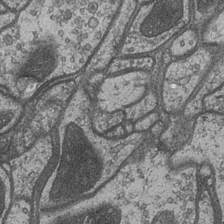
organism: Drosophila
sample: Optic medulla